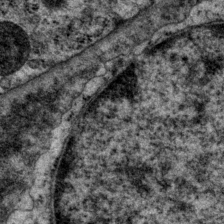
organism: P. pacificus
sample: Pharynx